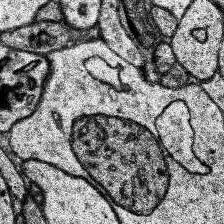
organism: Human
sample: Temporal Lobe